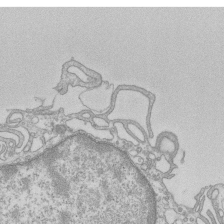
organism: Mouse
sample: Macrophages